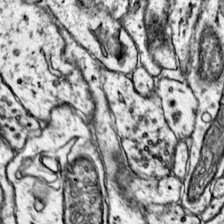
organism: Mouse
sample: Primary visual cortex